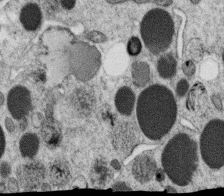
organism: C. elegans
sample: C. elegans oocyte; sperm cells